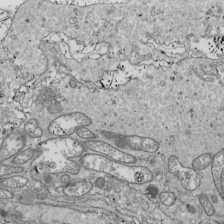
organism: Drosophila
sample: Cell division; meiosis; drosophila spermatocytes